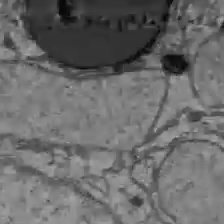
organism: C57BL Mouse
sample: Liver